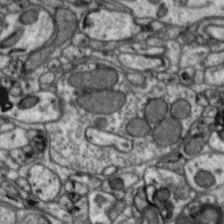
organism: Zebra finch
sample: Brain